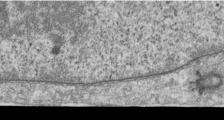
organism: Human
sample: Centriole in RPE cells